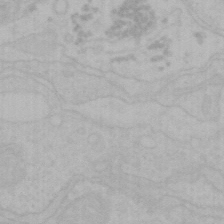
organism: Mouse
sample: Choroid plexus